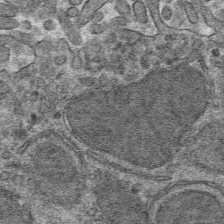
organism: Mouse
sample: Mouse hepatocytes